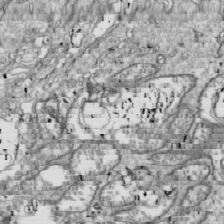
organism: Drosophila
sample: Cell division; meiosis; drosophila spermatocytes